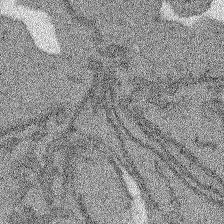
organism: Human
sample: HeLa cells